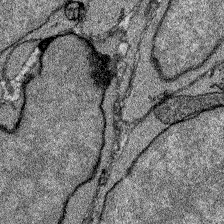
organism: Zebrafish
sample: Larval olfactory bulb